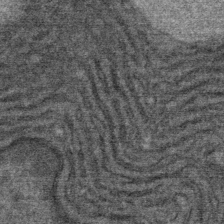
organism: Mouse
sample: Mouse Salivary gland